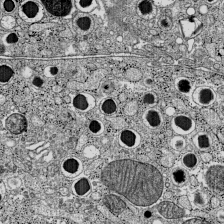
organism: C57BL Mouse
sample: Pancreatic islet